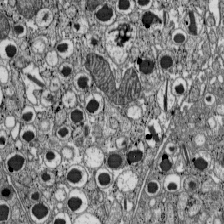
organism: C57BL Mouse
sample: Pancreatic islet